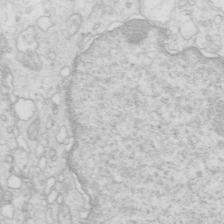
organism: Mouse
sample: Multiciliated cells